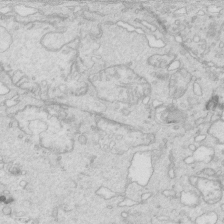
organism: Mouse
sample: Multiciliated cells